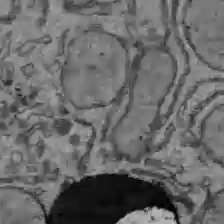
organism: C57BL Mouse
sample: Liver